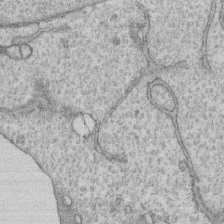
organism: Human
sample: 1205lu cells